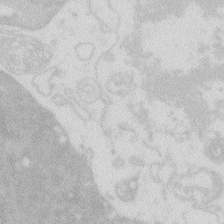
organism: Zebrafish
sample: Macrophage